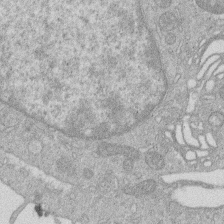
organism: Human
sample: Macrophage cells